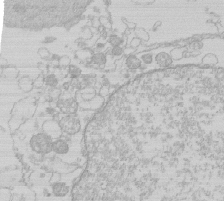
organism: Human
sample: Macrophage cells